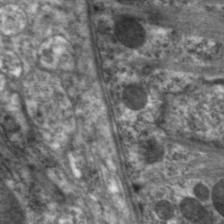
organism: C. elegans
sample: Pharynx